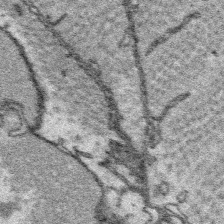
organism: Platynereis dumerilii